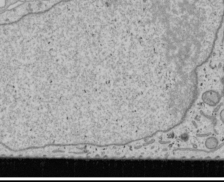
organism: Human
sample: Mitochondria in U2OS cells